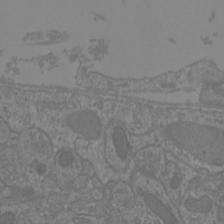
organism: Mouse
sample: Cortical neurons